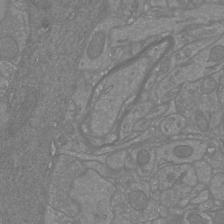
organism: Mouse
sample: Cortical neurons